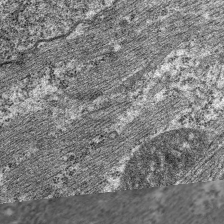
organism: C. elegans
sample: Pharynx